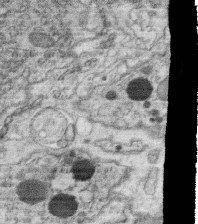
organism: C. elegans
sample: C. elegans oocyte; sperm cells